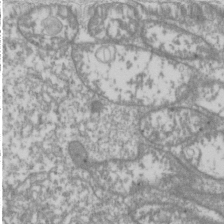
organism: Drosophila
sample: Cell division; meiosis; drosophila spermatocytes